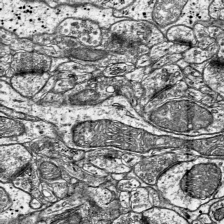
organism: Mouse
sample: Visual Cortex